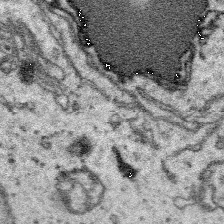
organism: Platynereis dumerilii